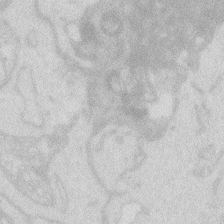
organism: Zebrafish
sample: Macrophage